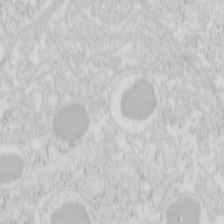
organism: Mouse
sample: Pancreas